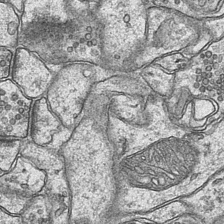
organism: Mouse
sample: CA1 Hippocampus